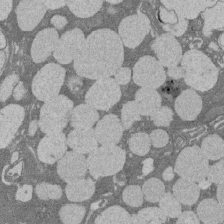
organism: Rat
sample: Salivary granule